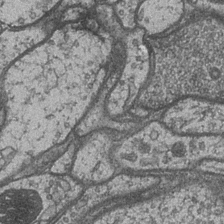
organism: Drosophila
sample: Optic medulla